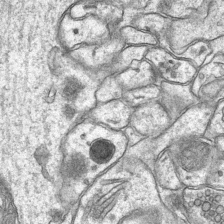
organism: Mouse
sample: CA1 Hippocampus